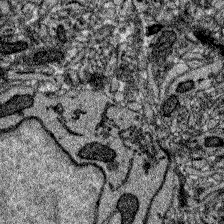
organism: Zebrafish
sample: Larval olfactory bulb